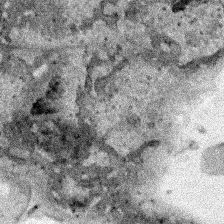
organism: Human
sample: Mitochondria in HCT116 cells